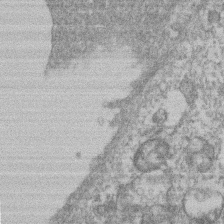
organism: Mouse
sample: T cell stromal cell synapse